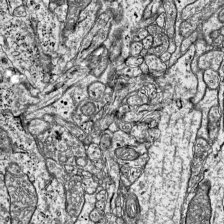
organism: Mouse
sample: Visual Cortex